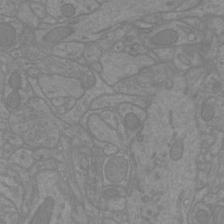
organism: Mouse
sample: Cortical neurons